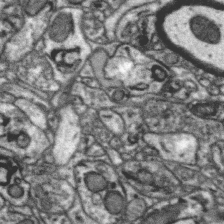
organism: Zebra finch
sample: Brain